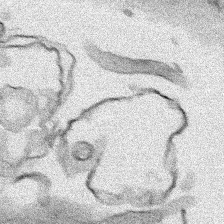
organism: Human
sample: Mitochondria in HCT116 cells